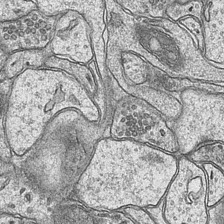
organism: Mouse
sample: CA1 Hippocampus